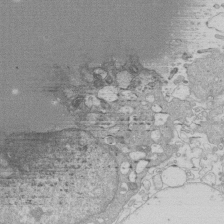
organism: Human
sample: Macrophage cells